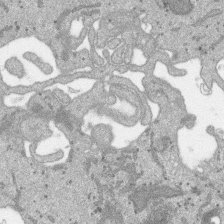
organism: Human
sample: Lung epithelial cells infected with SARS-CoV-2